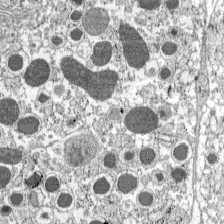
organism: C57BL Mouse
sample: Pancreatic islet